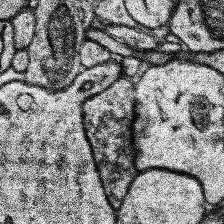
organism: Human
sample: Temporal Lobe